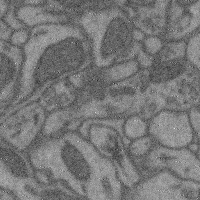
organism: Mouse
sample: Cerebral cortex